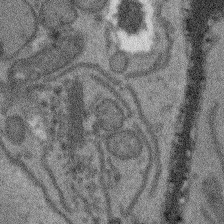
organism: Arabidopsis thaliana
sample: Root tip